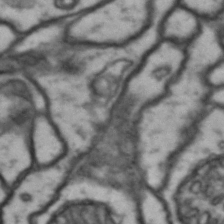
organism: Drosophila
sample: Brain